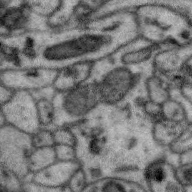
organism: Zebra finch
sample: Brain